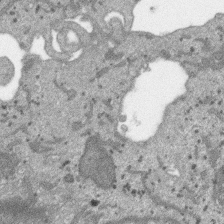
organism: Human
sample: Lung epithelial cells infected with SARS-CoV-2